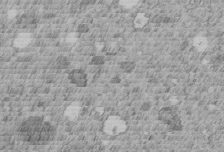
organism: C. elegans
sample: C. elegans embryo early stage